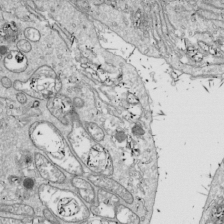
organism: Drosophila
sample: Cell division; meiosis; drosophila spermatocytes